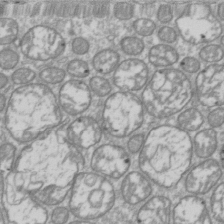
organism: Drosophila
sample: Cell division; meiosis; drosophila spermatocytes